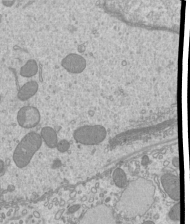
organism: Mouse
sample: Cilia; mouse epididymis